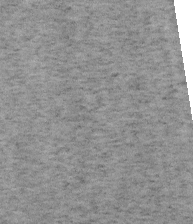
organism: Mouse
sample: OT-I killer T cells with ID8 ovarian cancer cells